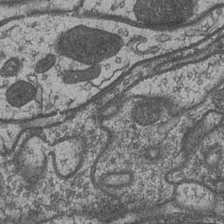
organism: Drosophila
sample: Optic medulla